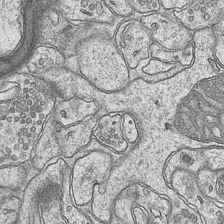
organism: Mouse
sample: CA1 Hippocampus